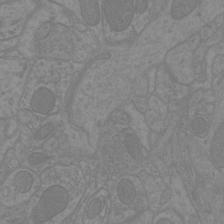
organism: Mouse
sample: Cortical neurons